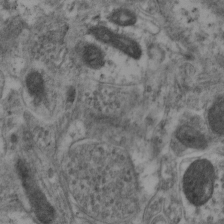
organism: Mouse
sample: Neocortex